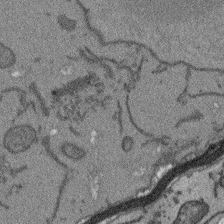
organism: Arabidopsis thaliana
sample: Root tip